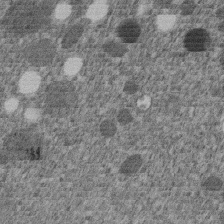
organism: C. elegans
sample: C. elegans embryo early stage